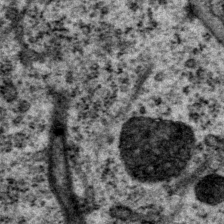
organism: P. pacificus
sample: Pharynx